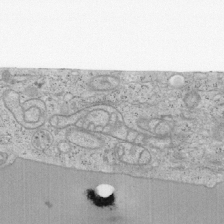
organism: Human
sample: HeLa cells